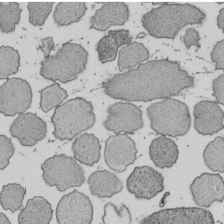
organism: E. coli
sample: Bacterial nucleoid